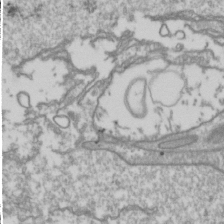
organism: Drosophila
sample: Cell division; meiosis; drosophila spermatocytes